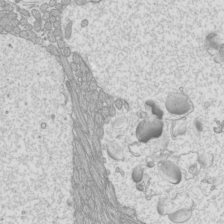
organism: Mouse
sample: Cilia; mouse epididymis